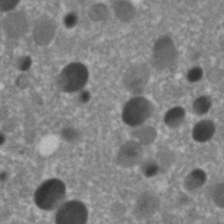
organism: C. elegans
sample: C. elegans embryo